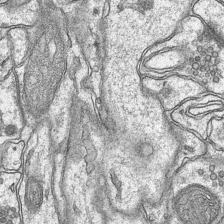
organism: Mouse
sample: CA1 Hippocampus